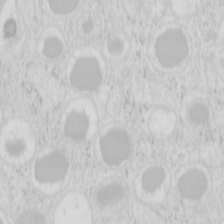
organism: Mouse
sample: Pancreas